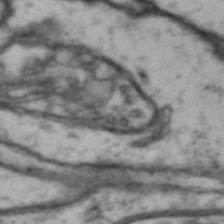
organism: Drosophila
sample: Brain